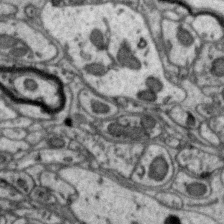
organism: Zebra finch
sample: Brain